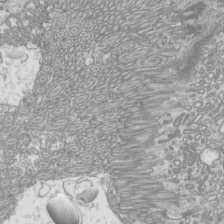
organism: Mouse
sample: Cilia; mouse epididymis